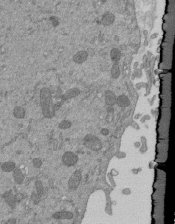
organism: Mouse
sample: ED-1 cell nuclei; centrioles